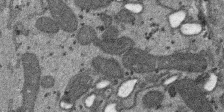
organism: Human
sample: Lung epithelial cells infected with SARS-CoV-2